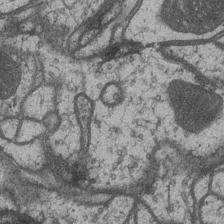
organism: Drosophila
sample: Optic medulla